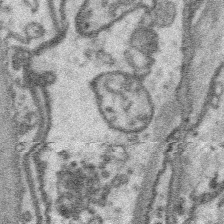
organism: Platynereis dumerilii